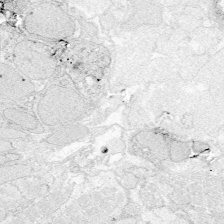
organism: Zebrafish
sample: Whole-Brain